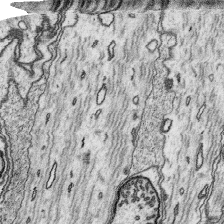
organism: Platynereis dumerilii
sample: Parapodia